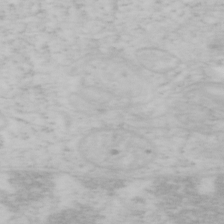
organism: Mouse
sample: OT-I killer T cells with ID8 ovarian cancer cells